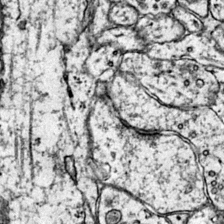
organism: Mouse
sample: Primary visual cortex